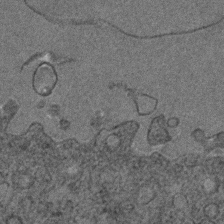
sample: Trachea